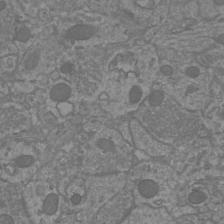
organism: Mouse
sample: Cortical neurons